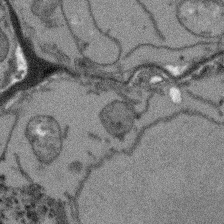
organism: Arabidopsis thaliana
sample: Root tip